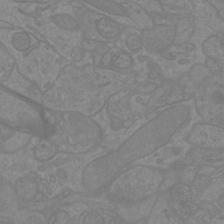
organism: Mouse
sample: Cortical neurons